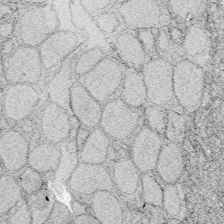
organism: Zebrafish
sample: Whole-Brain